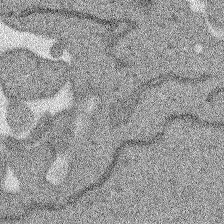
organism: Human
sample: HeLa cells